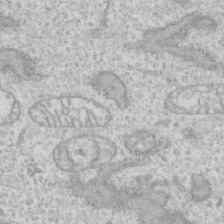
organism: Human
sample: CRL-1474